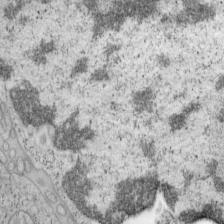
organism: Mouse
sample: OT-I killer T cells with ID8 ovarian cancer cells